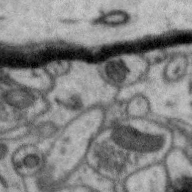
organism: Zebra finch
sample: Brain